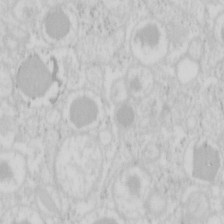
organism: Mouse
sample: Pancreas